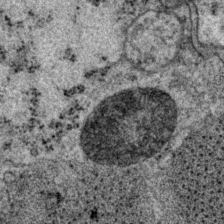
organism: P. pacificus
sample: Pharynx